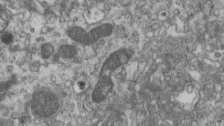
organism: Mouse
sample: Centriole in ependymal cells